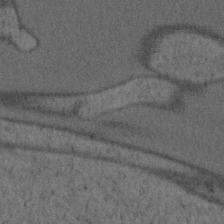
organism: Human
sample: HeLa cells